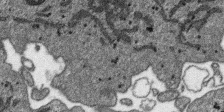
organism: Human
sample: Lung epithelial cells infected with SARS-CoV-2